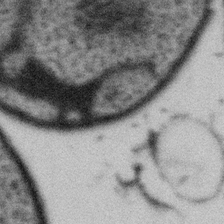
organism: Gemmata obscuriglobus